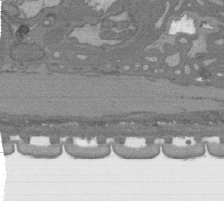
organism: C. elegans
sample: AFD neurons C. elegans